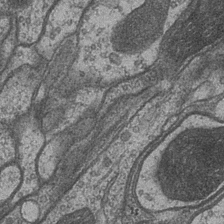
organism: Drosophila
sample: Optic medulla